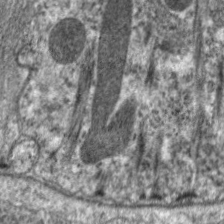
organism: C. elegans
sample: Pharynx